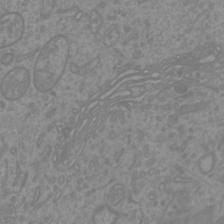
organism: Mouse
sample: Cortical neurons